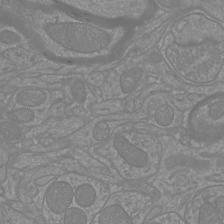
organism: Mouse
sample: Cortical neurons